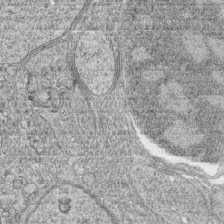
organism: Zebrafish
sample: synaptic ribbons in rod cells and cone cells